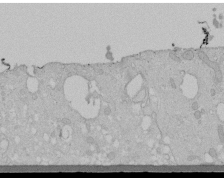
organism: Human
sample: Melanocyte Keratinocyte synapse skin construct